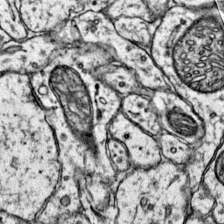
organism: Mouse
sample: Primary visual cortex